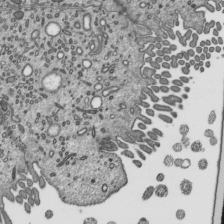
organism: Mouse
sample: Mouse epididymis efferent ductule cilia